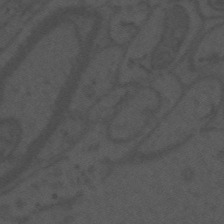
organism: Mouse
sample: Suprachiasmatic nucleus